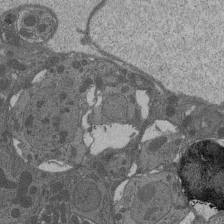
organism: Drosophila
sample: Antenna